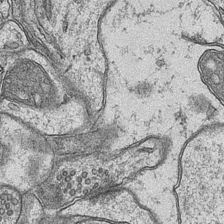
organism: Mouse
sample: CA1 Hippocampus